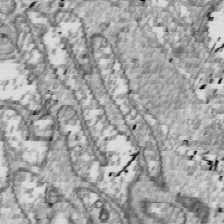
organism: Drosophila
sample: Cell division; meiosis; drosophila spermatocytes